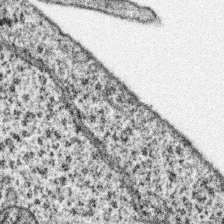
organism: Human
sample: HeLa cells